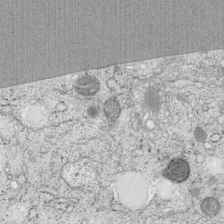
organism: African green monkey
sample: COS-7 cells